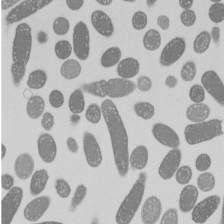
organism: E. coli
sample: Bacterial nucleoid